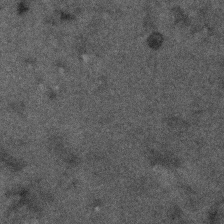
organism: Human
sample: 1205lu cells